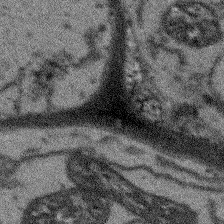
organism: Arabidopsis thaliana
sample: Root tip